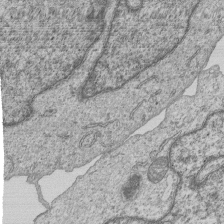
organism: Human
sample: MDA-MB-231 cells